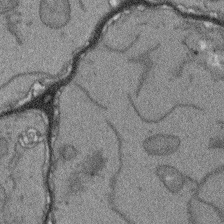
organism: Arabidopsis thaliana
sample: Root tip